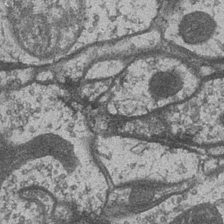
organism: Drosophila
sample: Optic medulla